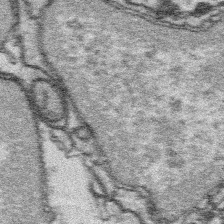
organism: Platynereis dumerilii